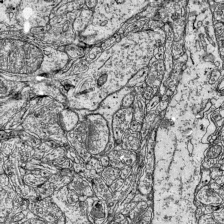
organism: Mouse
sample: Visual Cortex